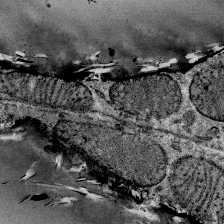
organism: Mouse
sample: Mouse Salivary gland